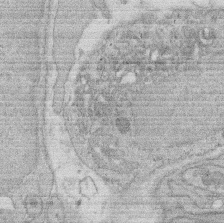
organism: Rat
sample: Salivary granule